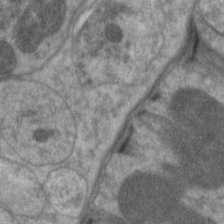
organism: C. elegans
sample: Pharynx